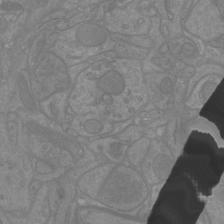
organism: Mouse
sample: Cortical neurons